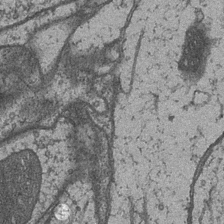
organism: Drosophila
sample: Optic medulla